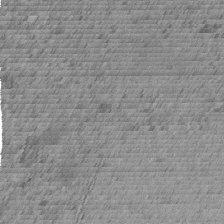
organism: C. elegans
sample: C. elegans embryo early stage